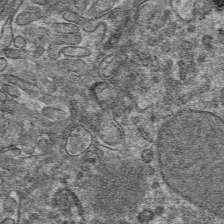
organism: Mouse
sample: Mouse hepatocytes